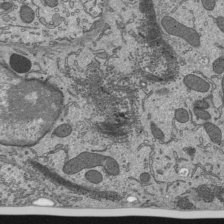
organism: Mouse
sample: Mouse epididymis efferent ductule cilia